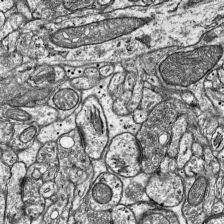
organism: Mouse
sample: Visual Cortex